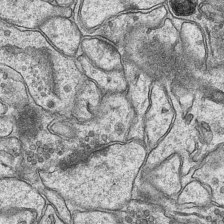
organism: Mouse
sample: CA1 Hippocampus